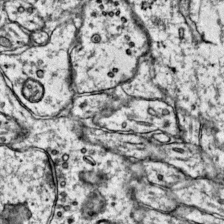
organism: Mouse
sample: Primary visual cortex